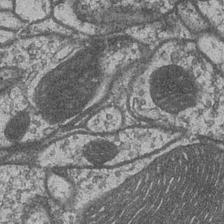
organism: Drosophila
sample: Optic medulla